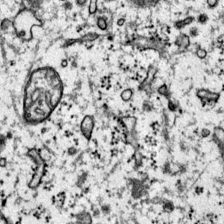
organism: Mouse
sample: Primary visual cortex